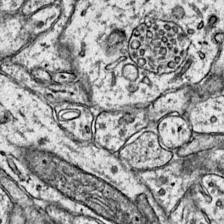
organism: Mouse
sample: Primary visual cortex